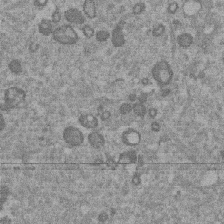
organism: Mouse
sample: Dividing mouse embryo 1 cell stage